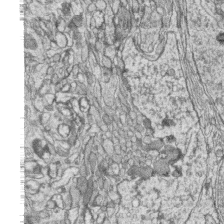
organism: Zebrafish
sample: synaptic ribbons in rod cells and cone cells